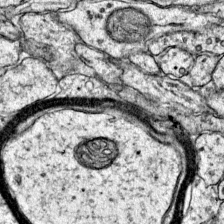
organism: Mouse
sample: Primary visual cortex